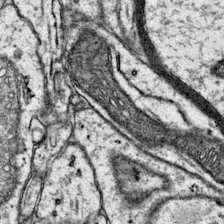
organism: Mouse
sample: Primary visual cortex